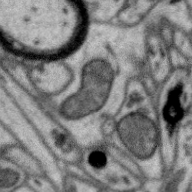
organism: Zebra finch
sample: Brain